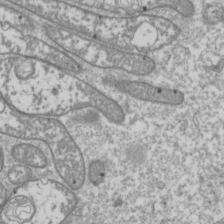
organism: Drosophila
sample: Cell division; meiosis; drosophila spermatocytes